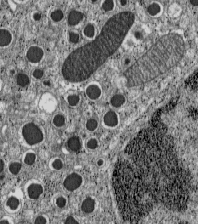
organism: C57BL Mouse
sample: Pancreatic islet